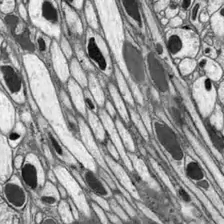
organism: Drosophila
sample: Optic lobe